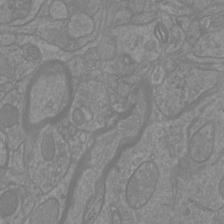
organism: Mouse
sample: Cortical neurons